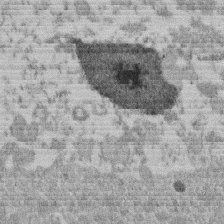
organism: Mouse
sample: Dividing mouse embryo 1 cell stage